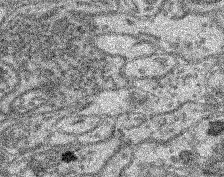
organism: Mouse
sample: Retina